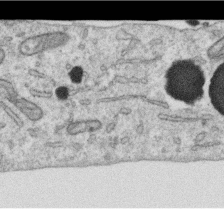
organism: Human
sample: Centriole in RPE cells